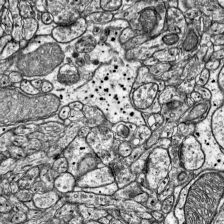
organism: Mouse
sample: Visual Cortex